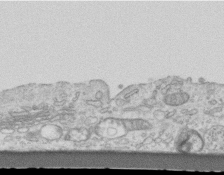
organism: Mouse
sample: Centriole in ependymal cells